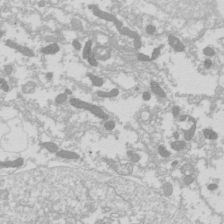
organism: Drosophila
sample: Cell division; meiosis; drosophila spermatocytes